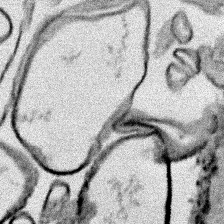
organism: Human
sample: Mitochondria in HCT116 cells